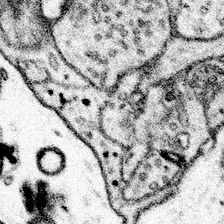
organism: Mouse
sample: Somatosensory cortex neuropil